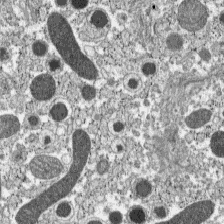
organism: C57BL Mouse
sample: Pancreatic islet